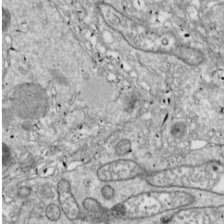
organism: Drosophila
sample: Cell division; meiosis; drosophila spermatocytes